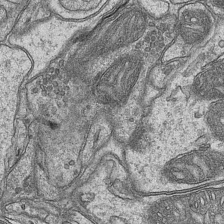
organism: Mouse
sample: CA1 Hippocampus